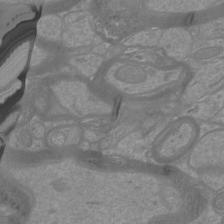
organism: Mouse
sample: Cortical neurons